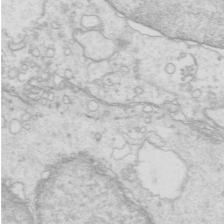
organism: Mouse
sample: Multiciliated cells